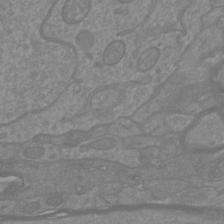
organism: Mouse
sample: Cortical neurons